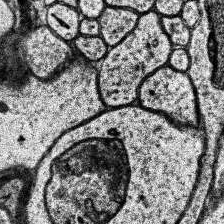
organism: Human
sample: Temporal Lobe